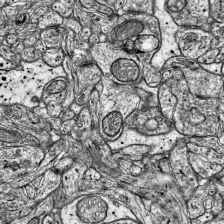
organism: Mouse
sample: Visual Cortex